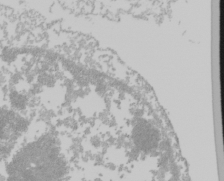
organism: Mouse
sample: Cancer cell death in ED-1 cells